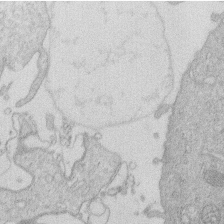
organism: Human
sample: Macrophage cells